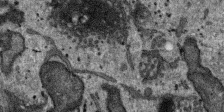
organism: Human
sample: Lung epithelial cells, uninfected (mock) control